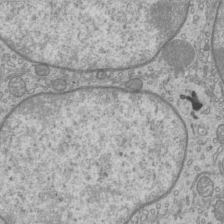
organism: Mouse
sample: Cilia; mouse epididymis